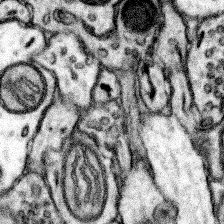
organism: Mouse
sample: Somatosensory cortex neuropil